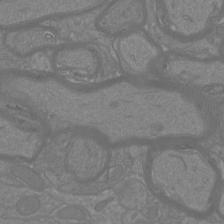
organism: Mouse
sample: Cortical neurons